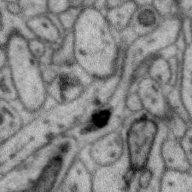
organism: Zebra finch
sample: Brain